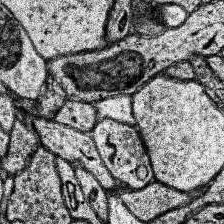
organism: Human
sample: Temporal Lobe